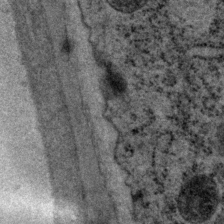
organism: P. pacificus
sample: Pharynx